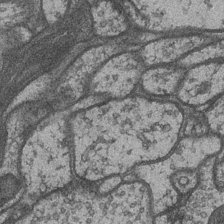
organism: Drosophila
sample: Optic medulla